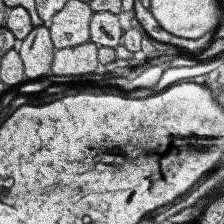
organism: Human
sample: Temporal Lobe